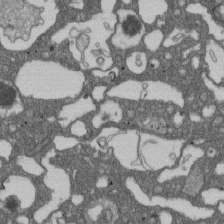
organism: Drosophila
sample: Nephrocyte